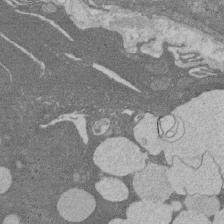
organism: Rat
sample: Salivary granule